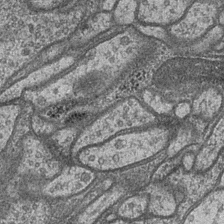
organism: Drosophila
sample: Optic medulla